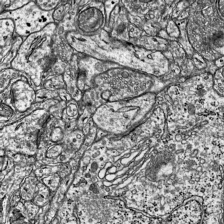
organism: Mouse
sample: Visual Cortex